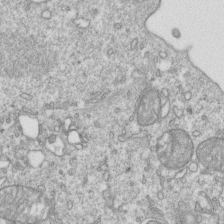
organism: Mouse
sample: Activated OT-1 CD8+ T cells